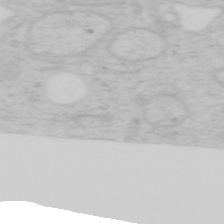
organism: Mouse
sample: OT-I killer T cells with ID8 ovarian cancer cells